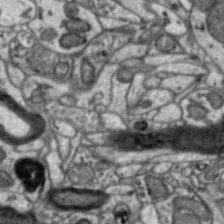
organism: Zebra finch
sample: Brain